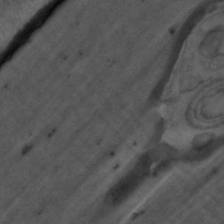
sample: Trachea